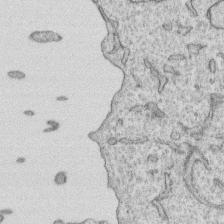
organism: Human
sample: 1205lu cells